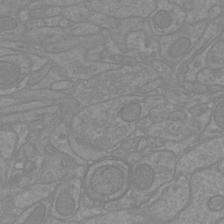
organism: Mouse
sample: Cortical neurons